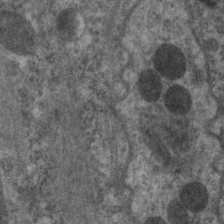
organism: C. elegans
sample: Pharynx